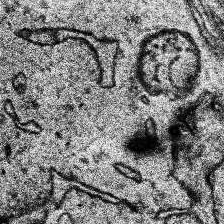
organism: Human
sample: Temporal Lobe